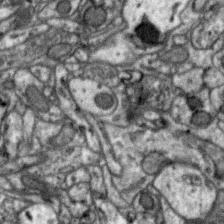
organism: Zebra finch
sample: Brain